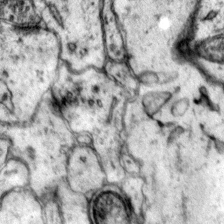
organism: Mouse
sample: Primary visual cortex